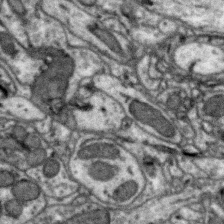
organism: Zebra finch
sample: Brain